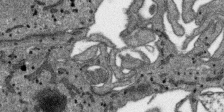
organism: Human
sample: Lung epithelial cells, uninfected (mock) control